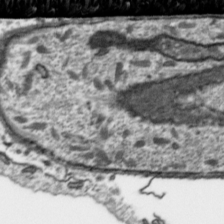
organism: Toxoplasma gondii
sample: Parasites in a vacuole inside a host cell